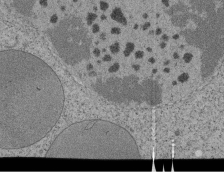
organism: Tetrahymena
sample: Cilia in tetrahymena